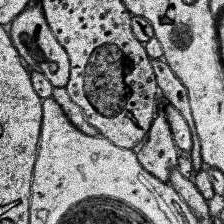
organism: Human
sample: Temporal Lobe